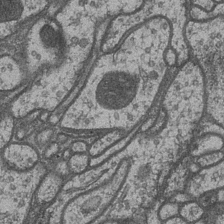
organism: Drosophila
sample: Optic medulla